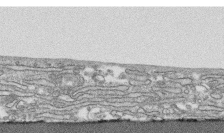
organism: Human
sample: CRL-1474